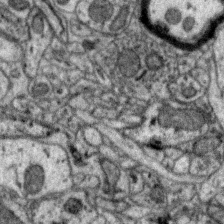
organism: Zebra finch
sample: Brain